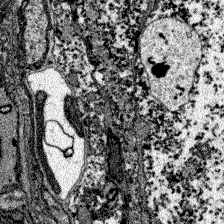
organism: Zebrafish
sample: Larval olfactory bulb